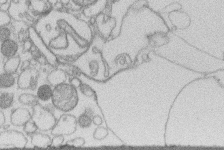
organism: Human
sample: Macrophage cells